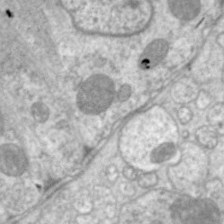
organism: C. elegans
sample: Pharynx